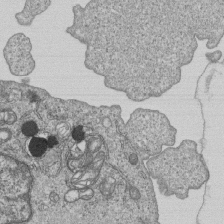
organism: Human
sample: MDA-MB-231 cells